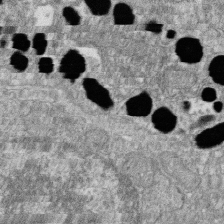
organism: Zebrafish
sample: Cilia; retinal pigment epithelium